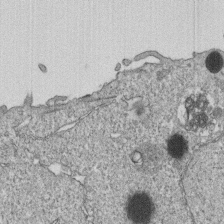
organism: Human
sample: HeLa cell HIV synapse